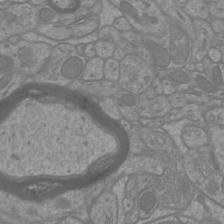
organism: Mouse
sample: Cortical neurons